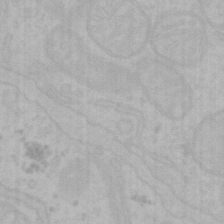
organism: Mouse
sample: Choroid plexus